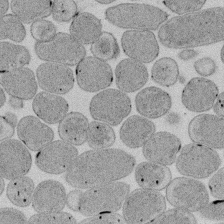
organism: E. coli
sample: Bacterial nucleoid